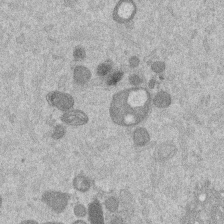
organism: Mouse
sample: Dividing mouse embryo 1 cell stage